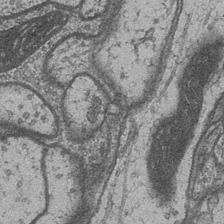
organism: Drosophila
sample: Optic medulla